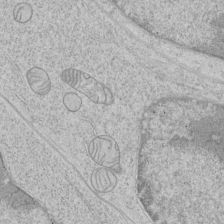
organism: Human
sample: Mitochondria in HCT116 cells